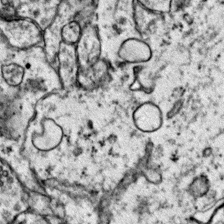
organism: Mouse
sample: Primary visual cortex